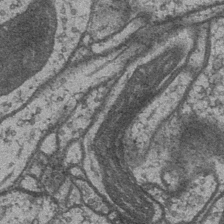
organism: Drosophila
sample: Optic medulla